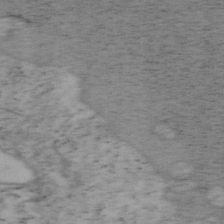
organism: Mouse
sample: OT-I killer T cells with ID8 ovarian cancer cells